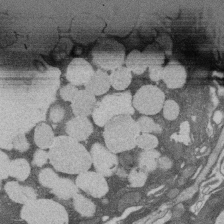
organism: Rat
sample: Salivary granule